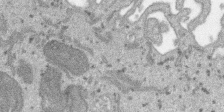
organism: Human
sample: Lung epithelial cells infected with SARS-CoV-2